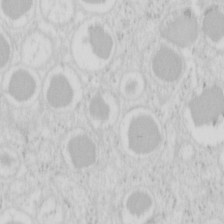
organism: Mouse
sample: Pancreas